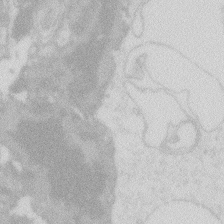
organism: Zebrafish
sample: Macrophage